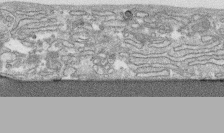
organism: Human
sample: CRL-1474